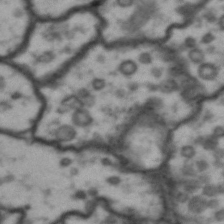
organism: Drosophila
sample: Brain